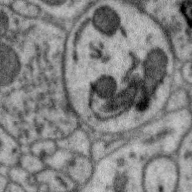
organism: Zebra finch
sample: Brain